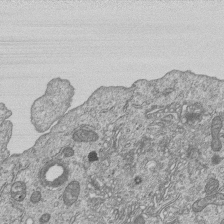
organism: Human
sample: MDA-MB-231 cells